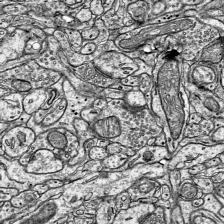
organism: Mouse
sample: Visual Cortex